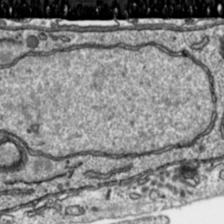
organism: Toxoplasma gondii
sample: Parasites in a vacuole inside a host cell